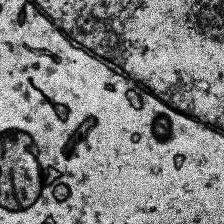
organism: Human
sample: Temporal Lobe